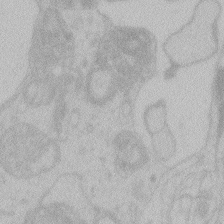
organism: Zebrafish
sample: Macrophage infected with Toxoplasma gondii